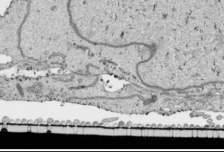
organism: Human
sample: Mitochondria in HCT116 cells